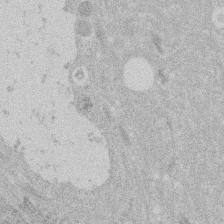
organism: Mouse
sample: Dividing mouse embryo 1 cell stage